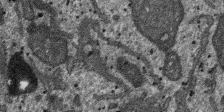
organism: Human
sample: Lung epithelial cells infected with SARS-CoV-2